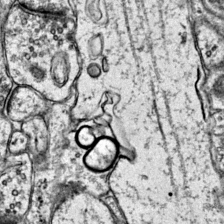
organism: Mouse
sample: Primary visual cortex